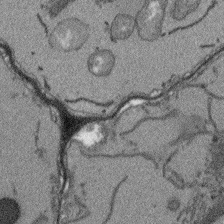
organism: Arabidopsis thaliana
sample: Root tip